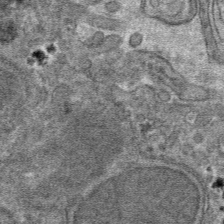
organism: Mouse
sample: Mouse hepatocytes